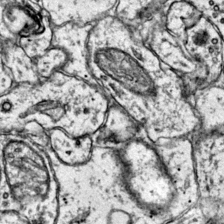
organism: Mouse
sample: Primary visual cortex